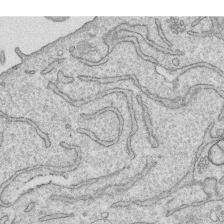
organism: Human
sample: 1205lu cells